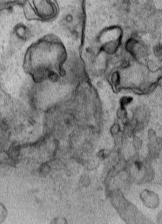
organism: Human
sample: Mitochondria in HCT116 cells